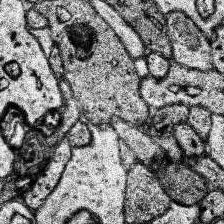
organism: Human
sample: Temporal Lobe